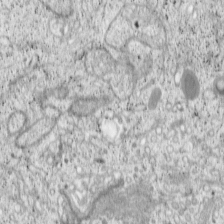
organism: African green monkey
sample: COS-7 cells